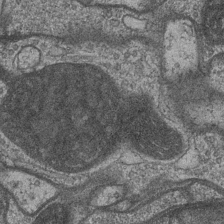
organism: Drosophila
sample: Optic medulla